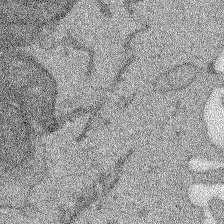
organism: Human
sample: HeLa cells